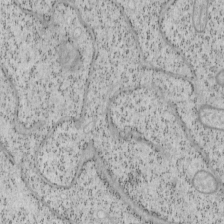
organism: Mouse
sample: OT-I killer T cells with ID8 ovarian cancer cells